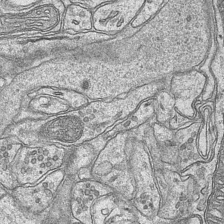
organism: Mouse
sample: CA1 Hippocampus